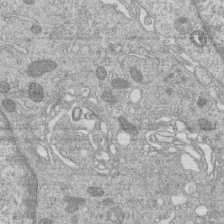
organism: Human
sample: Macrophage cells